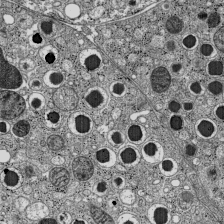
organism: C57BL Mouse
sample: Pancreatic islet